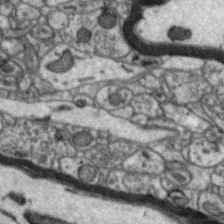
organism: Zebra finch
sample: Brain